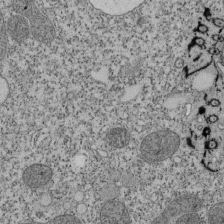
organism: Tetrahymena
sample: Cilia in tetrahymena